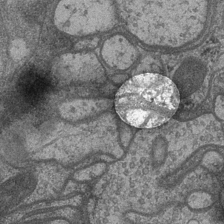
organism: Drosophila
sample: Optic medulla